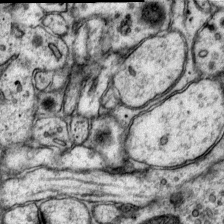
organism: Mouse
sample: Primary visual cortex